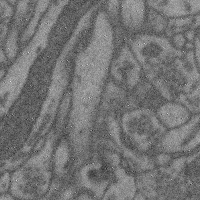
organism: Mouse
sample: Cerebral cortex